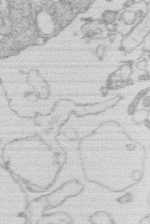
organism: Human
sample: Macrophage cells